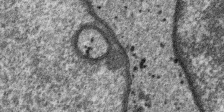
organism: Human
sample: Lung epithelial cells infected with SARS-CoV-2